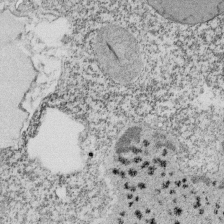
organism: Tetrahymena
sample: Cilia in tetrahymena